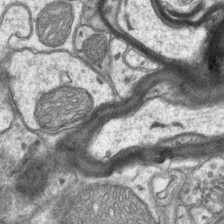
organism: Mouse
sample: CA1 Hippocampus